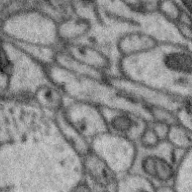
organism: Zebra finch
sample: Brain